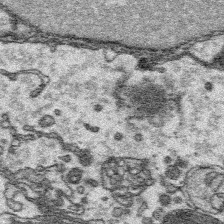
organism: Platynereis dumerilii